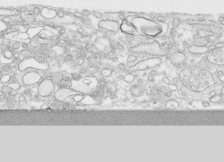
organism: Human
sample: CRL-1474